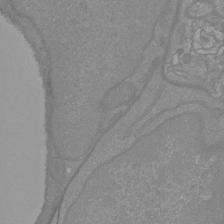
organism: Mouse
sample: Cortical neurons